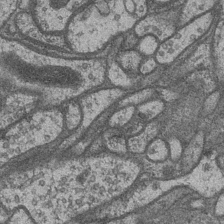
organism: Drosophila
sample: Optic medulla